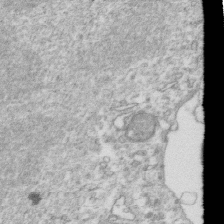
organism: Mouse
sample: Activated OT-1 CD8+ T cells